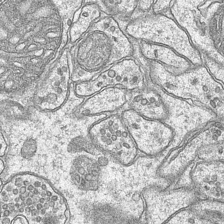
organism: Mouse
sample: CA1 Hippocampus